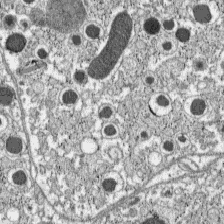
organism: C57BL Mouse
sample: Pancreatic islet